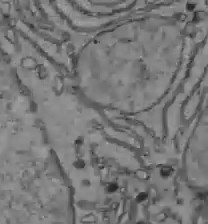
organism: C57BL Mouse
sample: Liver